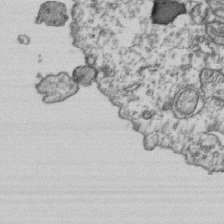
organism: Human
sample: Activated Jurkat CD4+ T cells